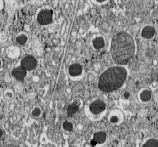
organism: C57BL Mouse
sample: Pancreatic islet